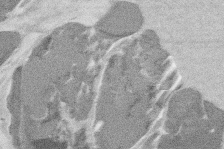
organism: Mouse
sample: T cell stromal cell synapse